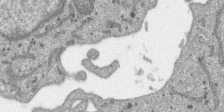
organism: Human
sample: Lung epithelial cells infected with SARS-CoV-2